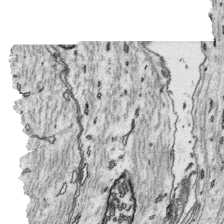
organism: Platynereis dumerilii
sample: Parapodia